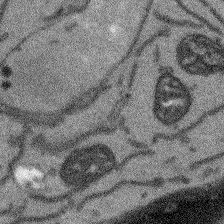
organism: Arabidopsis thaliana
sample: Root tip